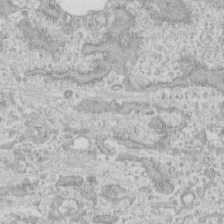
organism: Human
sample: CRL-1474